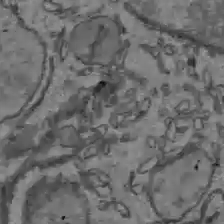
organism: C57BL Mouse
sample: Liver